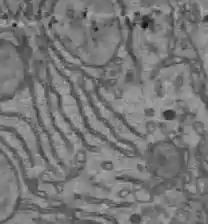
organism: C57BL Mouse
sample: Liver